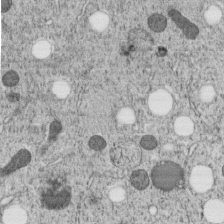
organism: C. elegans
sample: C. elegans embryo early stage